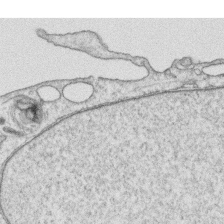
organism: Human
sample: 1205lu cells